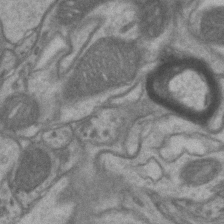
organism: Mouse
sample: CA1 Hippocampus